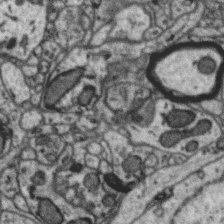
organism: Zebra finch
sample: Brain